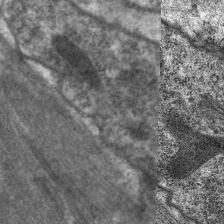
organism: C. elegans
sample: Pharynx